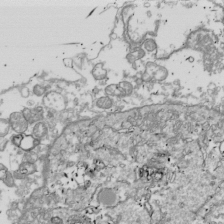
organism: Drosophila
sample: Cell division; meiosis; drosophila spermatocytes